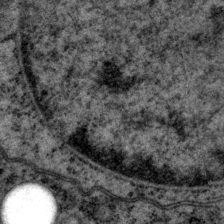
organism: P. pacificus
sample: Pharynx